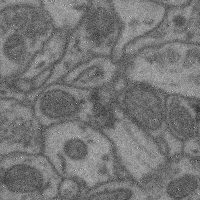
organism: Mouse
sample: Cerebral cortex